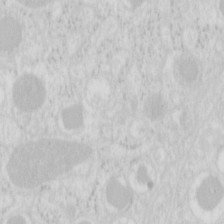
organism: Mouse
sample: Pancreas